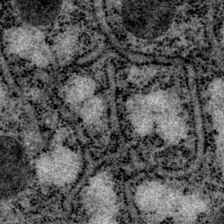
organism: P. pacificus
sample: Pharynx